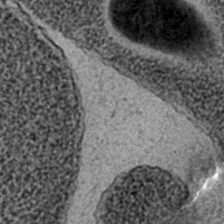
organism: C. elegans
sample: C. elegans embryo